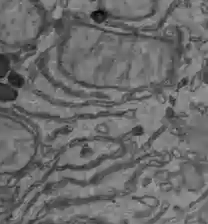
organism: C57BL Mouse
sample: Liver